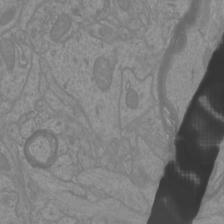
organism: Mouse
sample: Cortical neurons